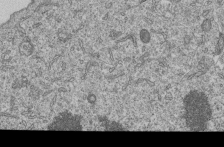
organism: Human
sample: MDA-MB-231 cells